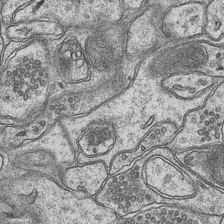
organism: Mouse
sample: CA1 Hippocampus